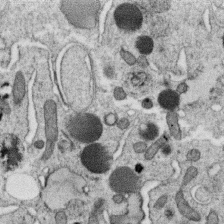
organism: C. elegans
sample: C. elegans oocyte; sperm cells